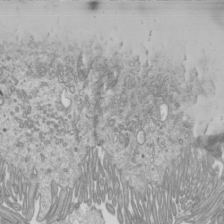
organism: Mouse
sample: Cilia; mouse epididymis